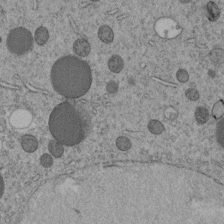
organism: C. elegans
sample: C. elegans embryo early stage